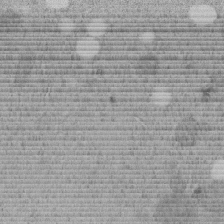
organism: C. elegans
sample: C. elegans embryo early stage